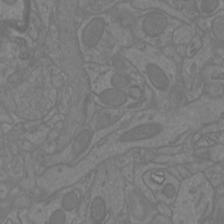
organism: Mouse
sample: Cortical neurons